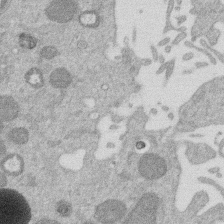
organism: Mouse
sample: Dividing mouse embryo 1 cell stage